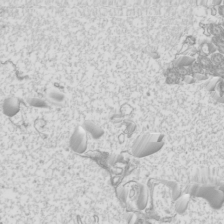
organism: Mouse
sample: Cilia; mouse epididymis